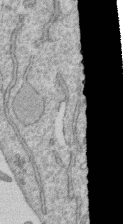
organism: Human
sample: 1205lu cells